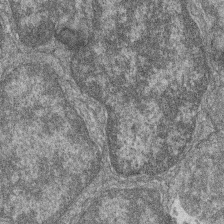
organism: Zebrafish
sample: Cilia; retinal pigment epithelium